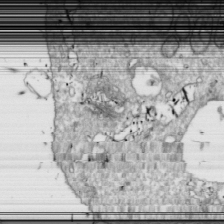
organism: Drosophila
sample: Cell division; meiosis; drosophila spermatocytes